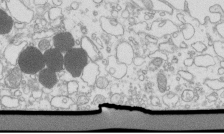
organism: Mouse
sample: Macrophages